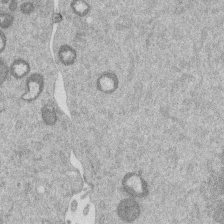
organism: Mouse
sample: Dividing mouse embryo 1 cell stage